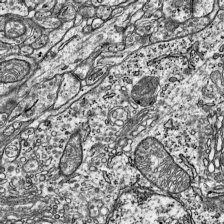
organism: Mouse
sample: Visual Cortex